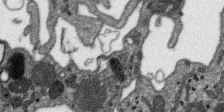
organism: Human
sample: Lung epithelial cells infected with SARS-CoV-2